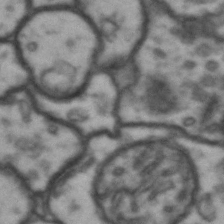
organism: Drosophila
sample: Brain